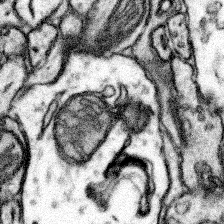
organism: Mouse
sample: Somatosensory cortex neuropil